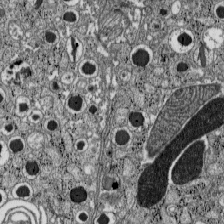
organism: C57BL Mouse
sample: Pancreatic islet